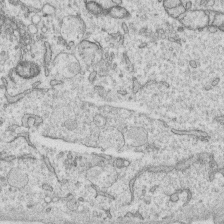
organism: Human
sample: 1205lu cells